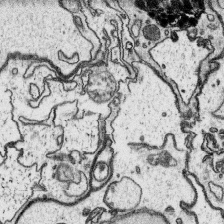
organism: Platynereis dumerilii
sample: Parapodia